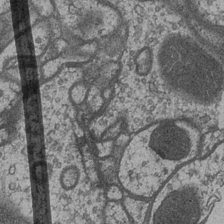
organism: Drosophila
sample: Optic medulla